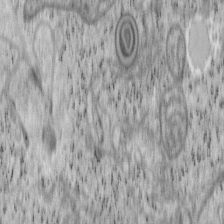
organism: Human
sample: HeLa cells